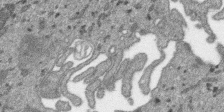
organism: Human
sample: Lung epithelial cells infected with SARS-CoV-2